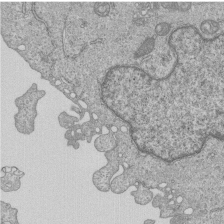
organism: Human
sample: MDA-MB-231 cells